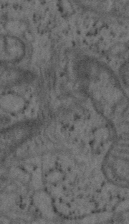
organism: Human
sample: HeLa cells